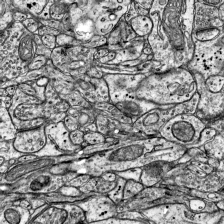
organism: Mouse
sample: Visual Cortex